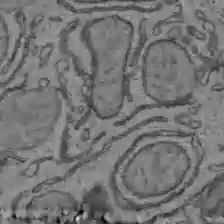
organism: C57BL Mouse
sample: Liver